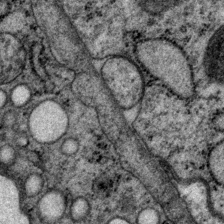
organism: P. pacificus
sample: Pharynx